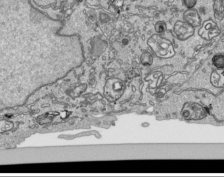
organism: Human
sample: Mitochondria in HCT116 cells